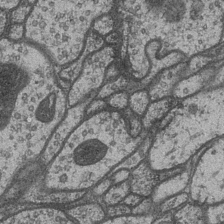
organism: Drosophila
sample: Optic medulla